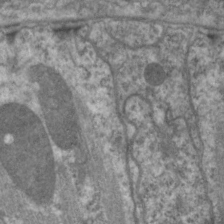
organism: C. elegans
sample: Pharynx